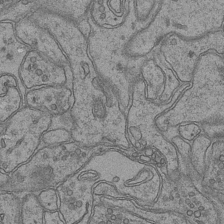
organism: Mouse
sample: CA1 Hippocampus